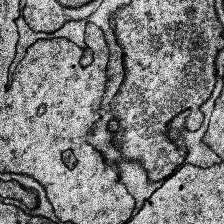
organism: Human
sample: Temporal Lobe